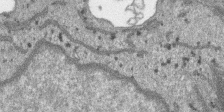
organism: Human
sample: Lung epithelial cells infected with SARS-CoV-2